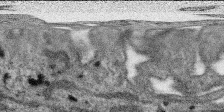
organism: Human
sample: Lung epithelial cells infected with SARS-CoV-2